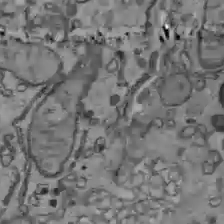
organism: C57BL Mouse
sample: Liver